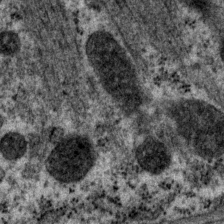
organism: P. pacificus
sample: Pharynx